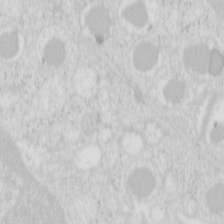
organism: Mouse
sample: Pancreas